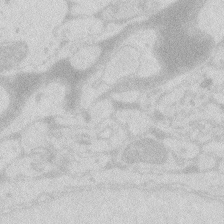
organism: Zebrafish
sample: Macrophage